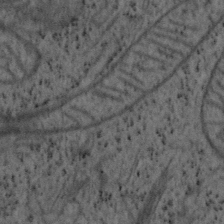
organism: Human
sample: HeLa cells